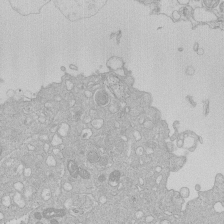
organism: Human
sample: Macrophage cells